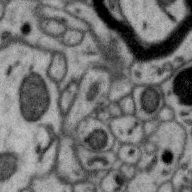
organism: Zebra finch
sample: Brain